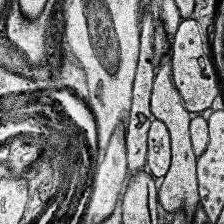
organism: Human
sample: Temporal Lobe